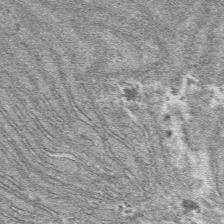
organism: Mouse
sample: Mouse hepatocytes